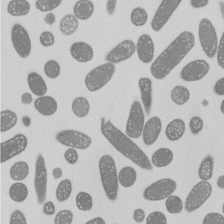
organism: E. coli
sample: Bacterial nucleoid